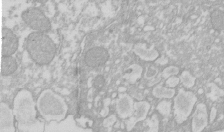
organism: Xenopus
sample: Cilia; centrioles in frog embryo cells